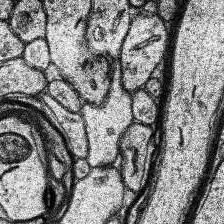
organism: Human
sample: Temporal Lobe